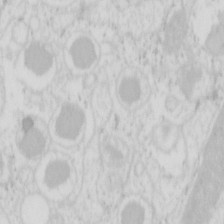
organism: Mouse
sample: Pancreas